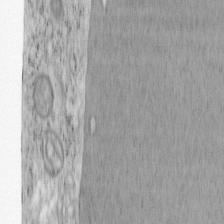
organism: Human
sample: HeLa cells